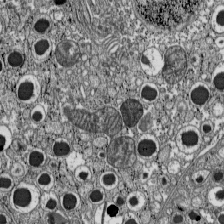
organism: C57BL Mouse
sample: Pancreatic islet